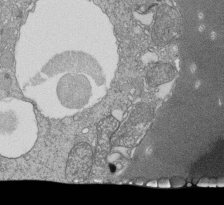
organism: Tetrahymena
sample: Cilia in tetrahymena